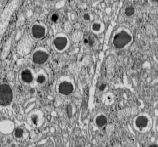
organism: C57BL Mouse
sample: Pancreatic islet